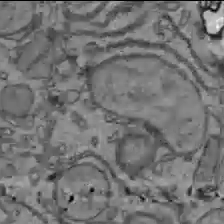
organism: C57BL Mouse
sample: Liver